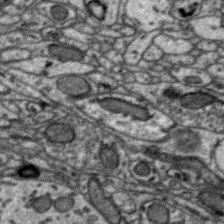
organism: Zebra finch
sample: Brain